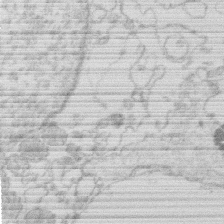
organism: Human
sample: Macrophage cells